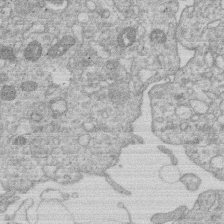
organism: Human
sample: Macrophage cells